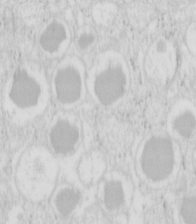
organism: Mouse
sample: Pancreas